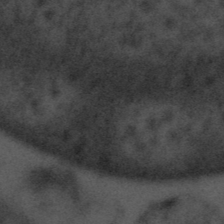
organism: Tuwongella immobilis